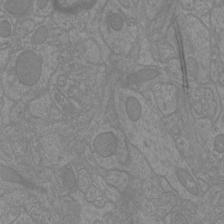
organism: Mouse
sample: Cortical neurons